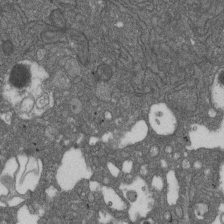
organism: Drosophila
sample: Nephrocyte